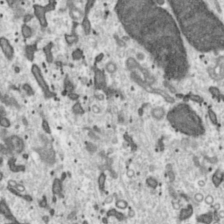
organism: Toxoplasma gondii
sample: Parasites in a vacuole inside a host cell